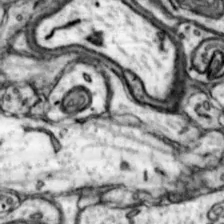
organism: Mouse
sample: Nucleus accumbens